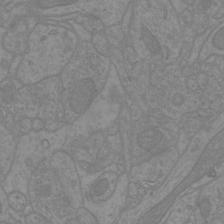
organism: Mouse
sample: Cortical neurons